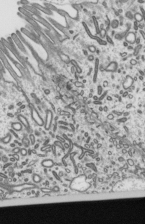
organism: Mouse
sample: Mouse epididymis efferent ductule cilia